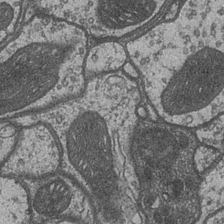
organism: Drosophila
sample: Optic medulla